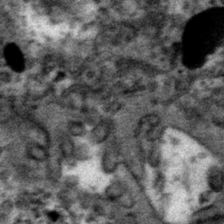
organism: Mouse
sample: Mouse hepatocytes